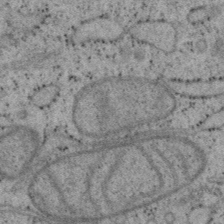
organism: Human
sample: HeLa cells